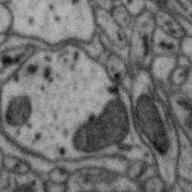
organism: Zebra finch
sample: Brain